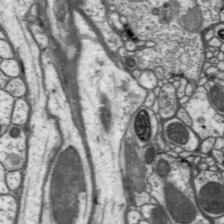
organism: Drosophila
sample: Protocerebral bridge